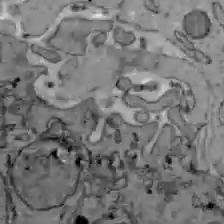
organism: C57BL Mouse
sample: Liver